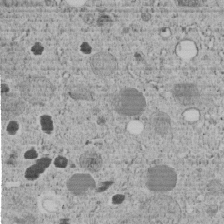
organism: C. elegans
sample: C. elegans embryo early stage